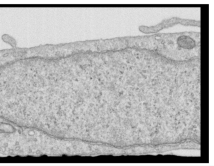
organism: Human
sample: Centriole in RPE cells